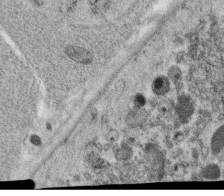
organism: C. elegans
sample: C. elegans oocyte; sperm cells